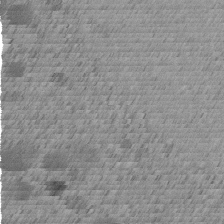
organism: C. elegans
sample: C. elegans embryo early stage